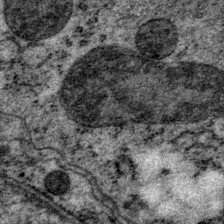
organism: P. pacificus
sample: Pharynx